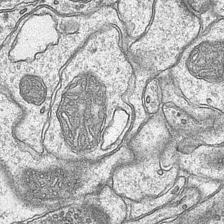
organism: Mouse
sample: CA1 Hippocampus